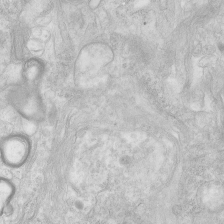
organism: Human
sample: Neocortex